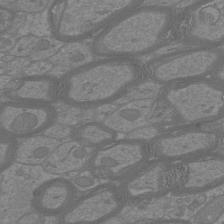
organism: Mouse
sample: Cortical neurons